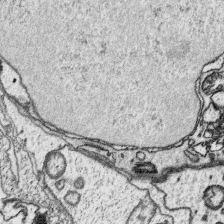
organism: Platynereis dumerilii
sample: Parapodia